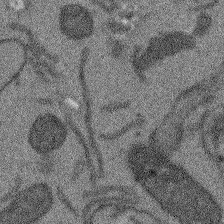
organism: Arabidopsis thaliana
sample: Root tip